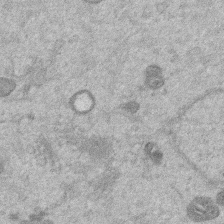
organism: Mouse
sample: Dividing mouse embryo 1 cell stage